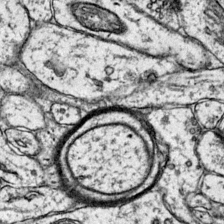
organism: Mouse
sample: Primary visual cortex